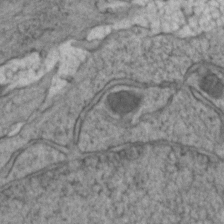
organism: Zebrafish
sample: Zebrafish embryo